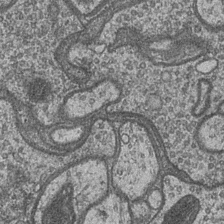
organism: Drosophila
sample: Optic medulla